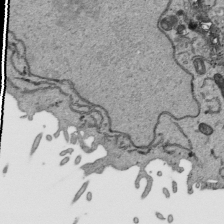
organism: Human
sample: Mitochondria in HCT116 cells